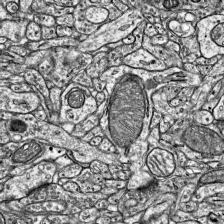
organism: Mouse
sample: Visual Cortex